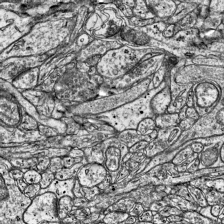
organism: Mouse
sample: Visual Cortex